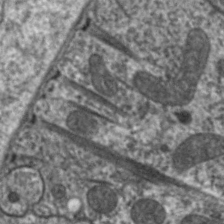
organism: C. elegans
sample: Pharynx